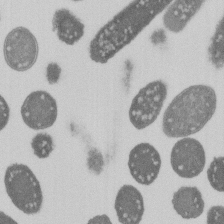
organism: E. coli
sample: Bacterial nucleoid